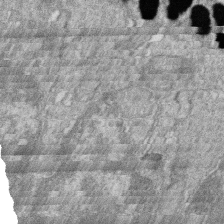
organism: Zebrafish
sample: Cilia; retinal pigment epithelium